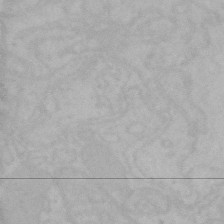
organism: Mouse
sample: Choroid plexus